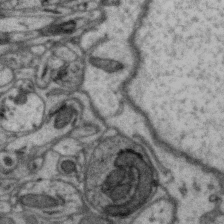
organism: Zebra finch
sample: Brain